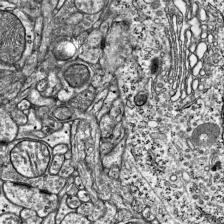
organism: Mouse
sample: Visual Cortex